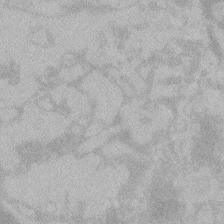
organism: Zebrafish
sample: Macrophage infected with Toxoplasma gondii